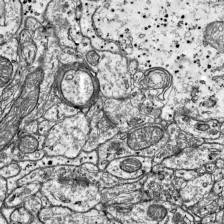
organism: Mouse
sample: Visual Cortex